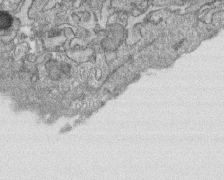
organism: Human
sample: CRL-1474